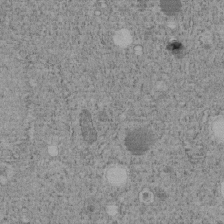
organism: C. elegans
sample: C. elegans embryo early stage